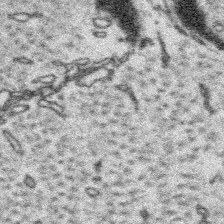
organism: Platynereis dumerilii